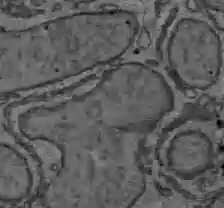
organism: C57BL Mouse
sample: Liver